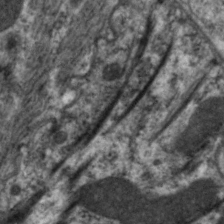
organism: C. elegans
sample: Pharynx